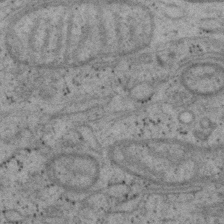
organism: Human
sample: HeLa cells